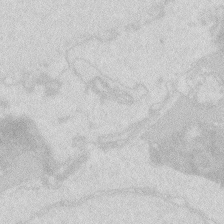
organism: Zebrafish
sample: Macrophage